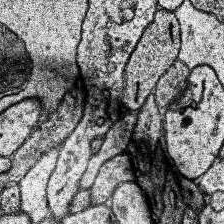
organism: Human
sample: Temporal Lobe